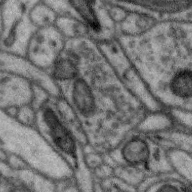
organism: Zebra finch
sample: Brain